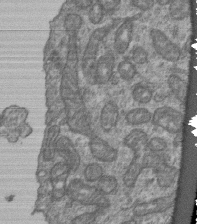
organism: Human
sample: Retinal organoid Rod and Cone cells